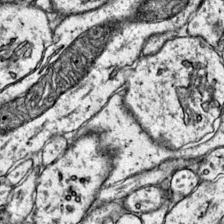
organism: Mouse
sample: Primary visual cortex